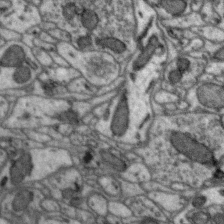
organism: Zebra finch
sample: Brain